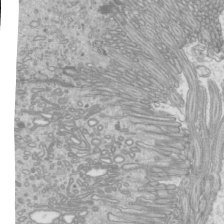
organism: Mouse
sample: Cilia; mouse epididymis